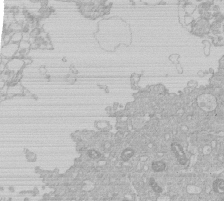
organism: Human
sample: Macrophage cells